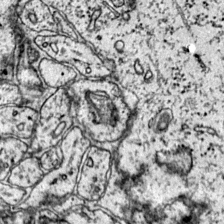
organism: Mouse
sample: Primary visual cortex